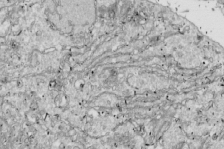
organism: Drosophila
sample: Cell division; meiosis; drosophila spermatocytes